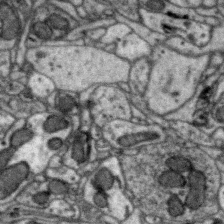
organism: Zebra finch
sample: Brain